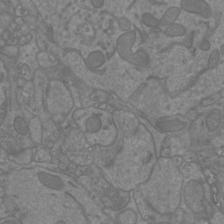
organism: Mouse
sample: Cortical neurons